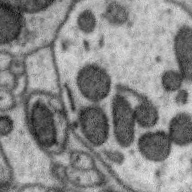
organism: Zebra finch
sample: Brain